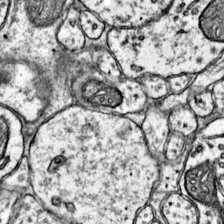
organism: Mouse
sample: Primary visual cortex